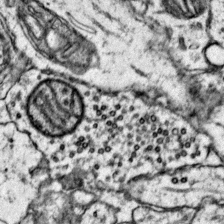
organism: Mouse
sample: Primary visual cortex